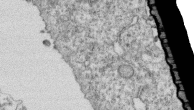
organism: Human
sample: HeLa cell HIV synapse